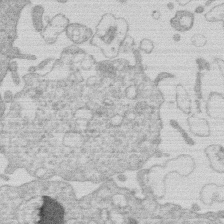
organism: Human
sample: Macrophage cells